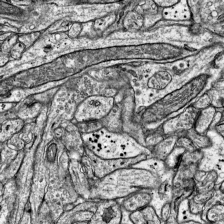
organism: Mouse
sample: Visual Cortex